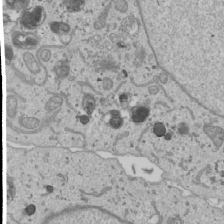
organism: Human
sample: Mitochondria in U2OS cells